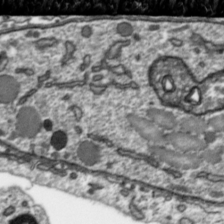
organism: Toxoplasma gondii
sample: Parasites in a vacuole inside a host cell